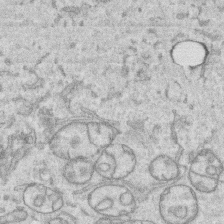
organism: Human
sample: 1205lu cells